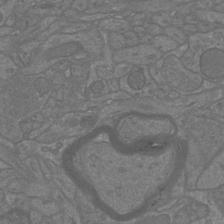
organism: Mouse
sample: Cortical neurons